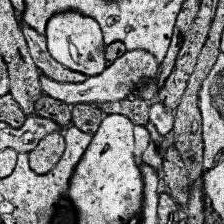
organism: Human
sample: Temporal Lobe